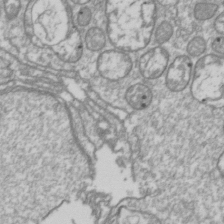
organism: Drosophila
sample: Cell division; meiosis; drosophila spermatocytes